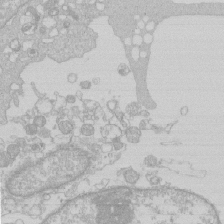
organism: Human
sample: Macrophage cells